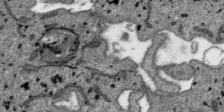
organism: Human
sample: Lung epithelial cells, uninfected (mock) control